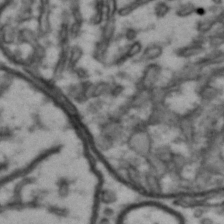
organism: Drosophila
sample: Brain